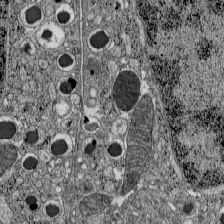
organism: C57BL Mouse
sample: Pancreatic islet